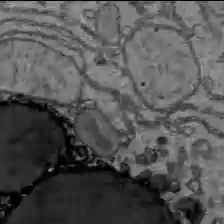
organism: C57BL Mouse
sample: Liver